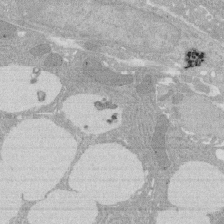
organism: Rat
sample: Salivary granule